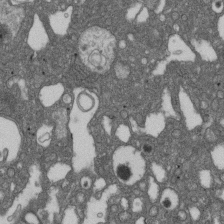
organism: Drosophila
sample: Nephrocyte